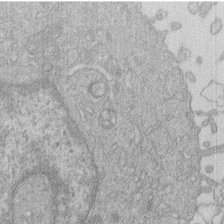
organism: Human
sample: Macrophage cells